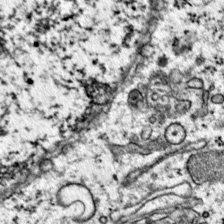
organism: Mouse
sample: Primary visual cortex